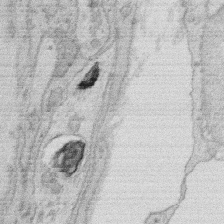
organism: Rat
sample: Salivary granule